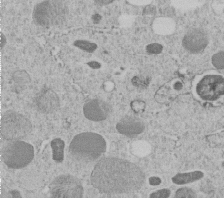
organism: C. elegans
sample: C. elegans embryo early stage